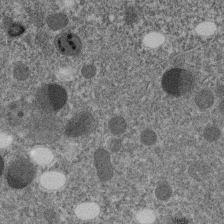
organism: C. elegans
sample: C. elegans embryo early stage